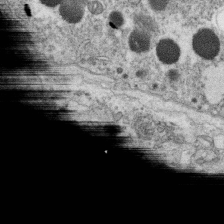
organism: C. elegans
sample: C. elegans oocyte; sperm cells